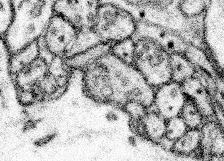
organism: Mouse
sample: Somatosensory cortex neuropil